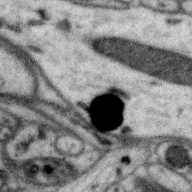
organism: Zebra finch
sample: Brain